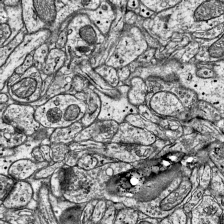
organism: Mouse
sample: Visual Cortex